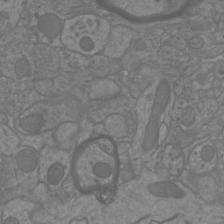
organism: Mouse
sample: Cortical neurons